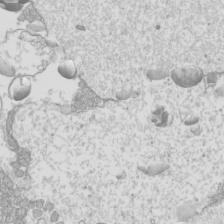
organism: Mouse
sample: Cilia; mouse epididymis